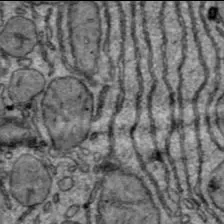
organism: C57BL Mouse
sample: Liver